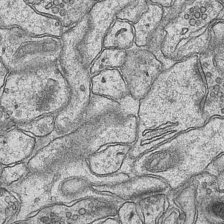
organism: Mouse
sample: CA1 Hippocampus